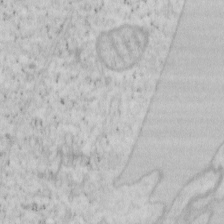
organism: Human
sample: HeLa cells